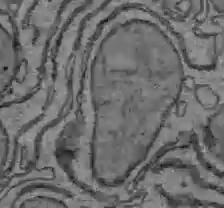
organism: C57BL Mouse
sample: Liver